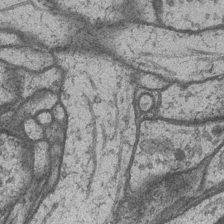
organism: Drosophila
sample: Optic medulla